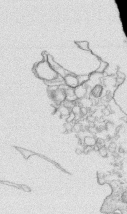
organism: Human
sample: HeLa cell HIV synapse